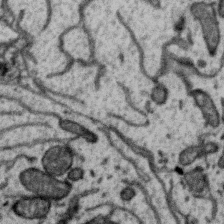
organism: Zebra finch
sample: Brain